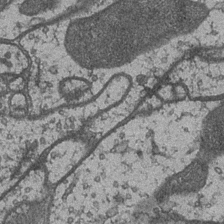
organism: Drosophila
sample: Optic medulla